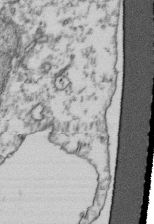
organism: Human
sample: Activated Jurkat CD4+ T cells